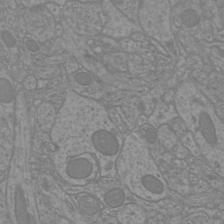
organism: Mouse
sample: Cortical neurons